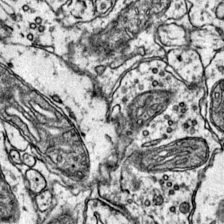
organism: Mouse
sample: Primary visual cortex